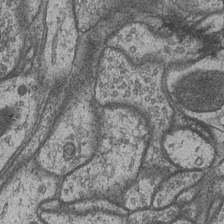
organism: Drosophila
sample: Optic medulla